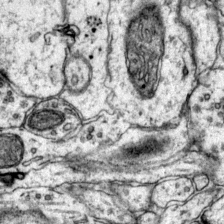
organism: Mouse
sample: Primary visual cortex